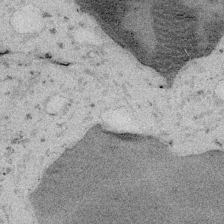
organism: Embia sp.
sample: Silk gland